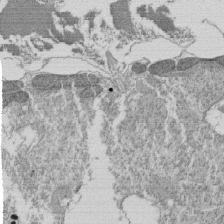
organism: Tetrahymena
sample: Cilia in tetrahymena